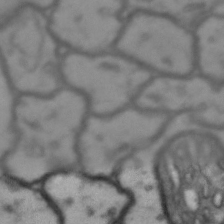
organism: Drosophila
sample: Brain